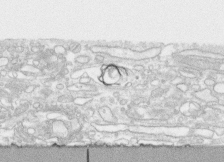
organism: Human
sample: CRL-1474